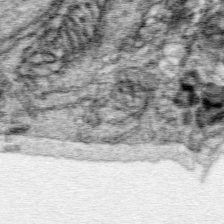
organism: Human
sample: HeLa cells